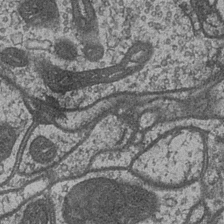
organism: Drosophila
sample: Optic medulla